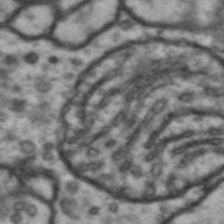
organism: Drosophila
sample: Brain